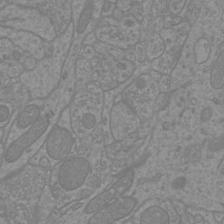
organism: Mouse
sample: Cortical neurons